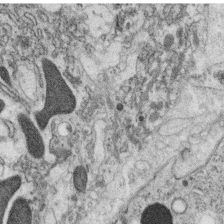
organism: C. elegans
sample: C. elegans oocyte; sperm cells